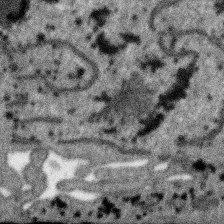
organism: Human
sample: Lung epithelial cells infected with SARS-CoV-2